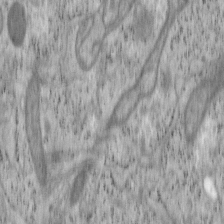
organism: Human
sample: HeLa cells